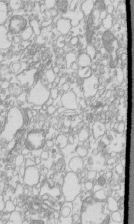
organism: Mouse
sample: Macrophages